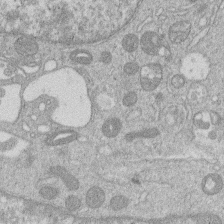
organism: Human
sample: Macrophage cells